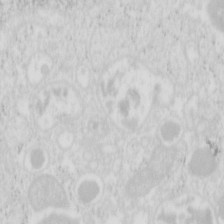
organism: Mouse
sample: Pancreas